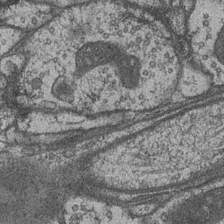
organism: Drosophila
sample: Optic medulla